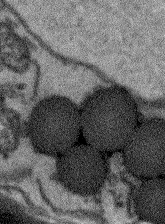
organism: Arabidopsis thaliana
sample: Root tip